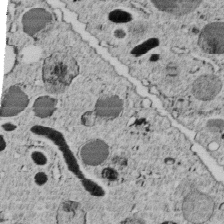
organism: C. elegans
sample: C. elegans embryo early stage